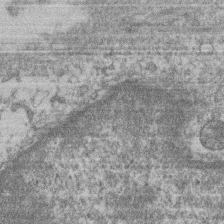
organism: Mouse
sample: T cell stromal cell synapse